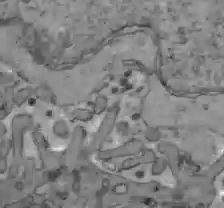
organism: C57BL Mouse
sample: Liver